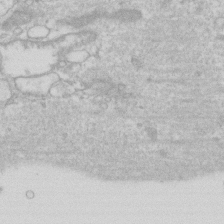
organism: Human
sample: Fibroblast cells